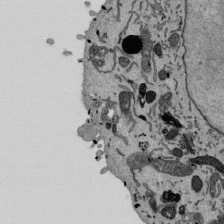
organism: Mouse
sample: ED-1 cell nuclei; centrioles